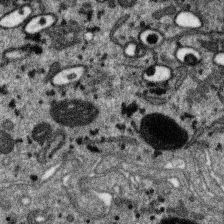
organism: Human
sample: Lung epithelial cells infected with SARS-CoV-2